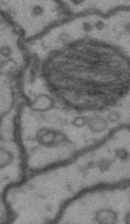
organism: Drosophila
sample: Brain